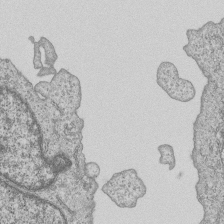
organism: Human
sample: MDA-MB-231 cells